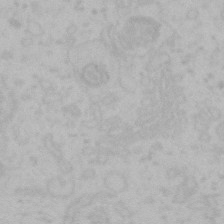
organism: Mouse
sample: Choroid plexus